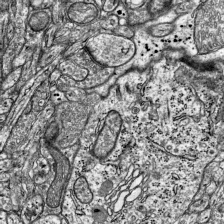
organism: Mouse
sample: Visual Cortex